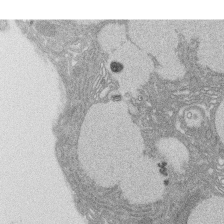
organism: Rat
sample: Salivary granule